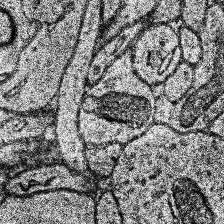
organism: Human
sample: Temporal Lobe